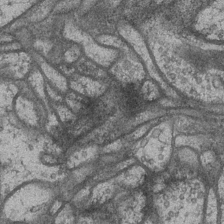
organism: Drosophila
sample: Optic medulla